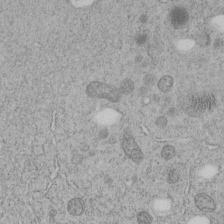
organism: C. elegans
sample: C. elegans embryo early stage